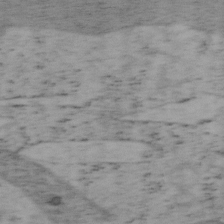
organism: Mouse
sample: OT-I killer T cells with ID8 ovarian cancer cells